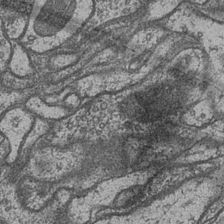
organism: Drosophila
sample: Optic medulla